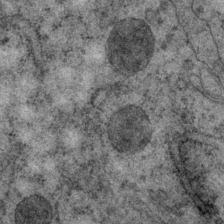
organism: P. pacificus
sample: Pharynx